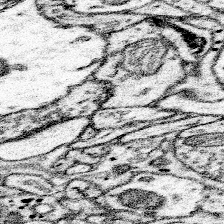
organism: Mouse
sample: Somatosensory cortex neuropil